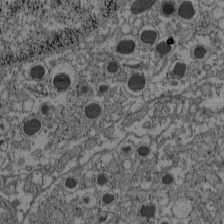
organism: C57BL Mouse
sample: Pancreatic islet